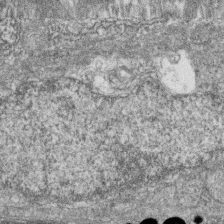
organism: Zebrafish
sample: Cilia; retinal pigment epithelium